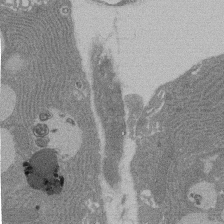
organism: Rat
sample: Salivary granule